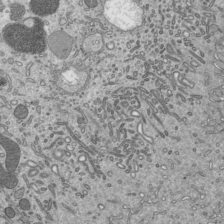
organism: Mouse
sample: Mouse epididymis efferent ductule cilia